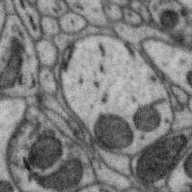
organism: Zebra finch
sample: Brain